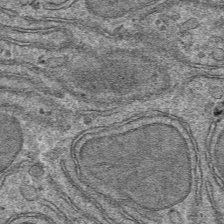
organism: Mouse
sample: Mouse hepatocytes